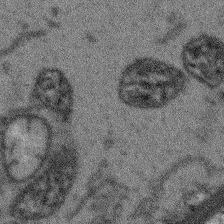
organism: Arabidopsis thaliana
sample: Root tip